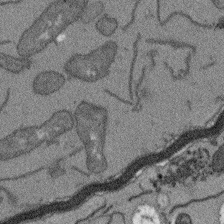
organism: Arabidopsis thaliana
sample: Root tip